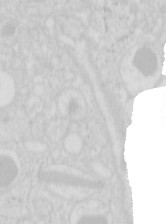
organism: Mouse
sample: Pancreas